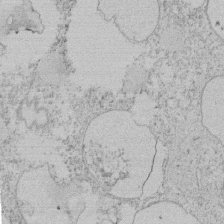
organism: Tetrahymena